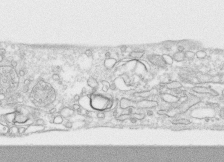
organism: Human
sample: CRL-1474